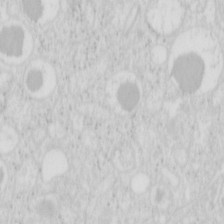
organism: Mouse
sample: Pancreas